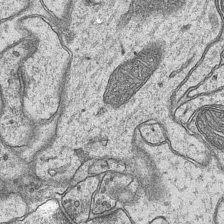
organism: Mouse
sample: CA1 Hippocampus